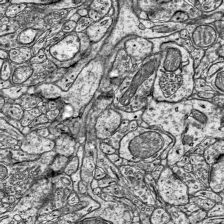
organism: Mouse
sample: Visual Cortex